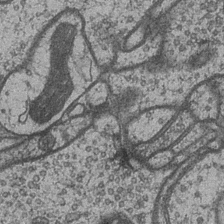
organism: Drosophila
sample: Optic medulla